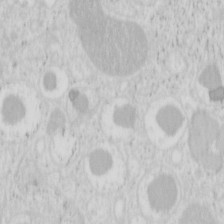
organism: Mouse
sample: Pancreas